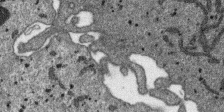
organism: Human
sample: Lung epithelial cells infected with SARS-CoV-2